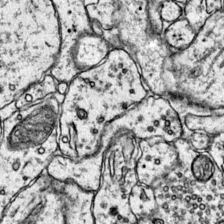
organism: Mouse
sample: Primary visual cortex